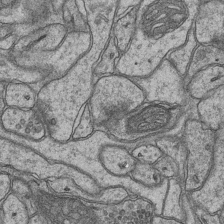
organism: Mouse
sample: CA1 Hippocampus